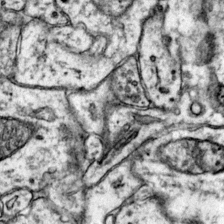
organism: Mouse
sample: Primary visual cortex